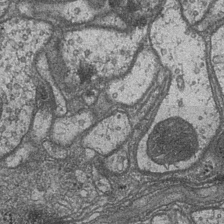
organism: Drosophila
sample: Optic medulla